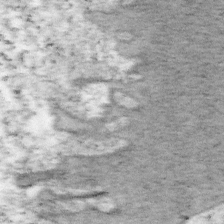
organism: Mouse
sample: OT-I killer T cells with ID8 ovarian cancer cells